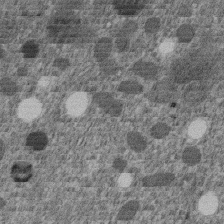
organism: C. elegans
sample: C. elegans embryo early stage